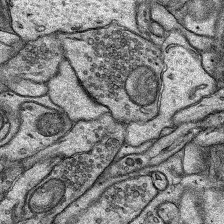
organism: Rat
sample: Hippocampus